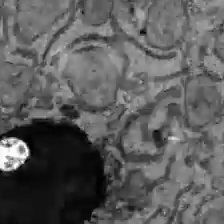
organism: C57BL Mouse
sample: Liver